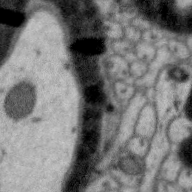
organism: Zebra finch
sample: Brain